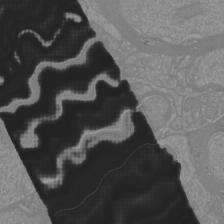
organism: Mouse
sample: Cortical neurons